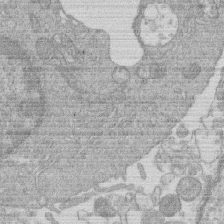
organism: Human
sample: Macrophage cells